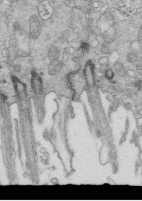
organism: Mouse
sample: Multiciliated cells